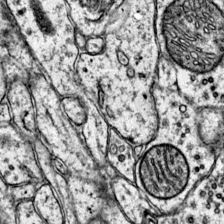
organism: Mouse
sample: Primary visual cortex